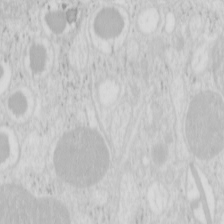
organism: Mouse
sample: Pancreas